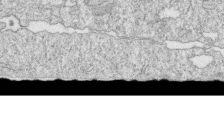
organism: Human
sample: HeLa cell HIV synapse